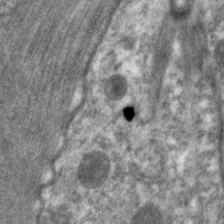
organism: C. elegans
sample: Pharynx